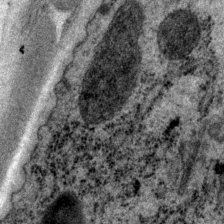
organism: P. pacificus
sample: Pharynx